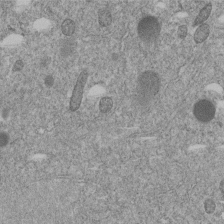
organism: C. elegans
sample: C. elegans embryo early stage